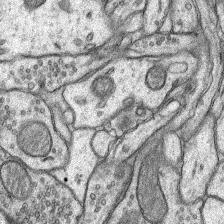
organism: Rat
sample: Hippocampus